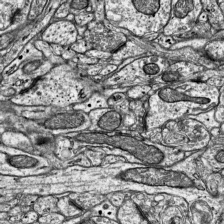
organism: Mouse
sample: Visual Cortex